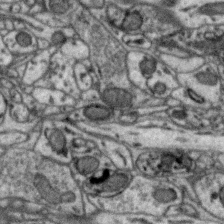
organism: Zebra finch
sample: Brain